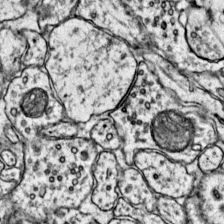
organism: Mouse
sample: Primary visual cortex